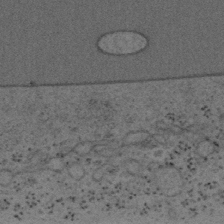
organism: Human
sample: HeLa cells